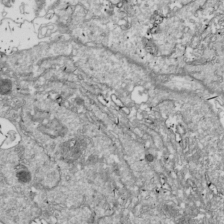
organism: Drosophila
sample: Cell division; meiosis; drosophila spermatocytes